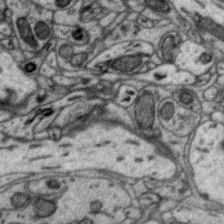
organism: Zebra finch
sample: Brain